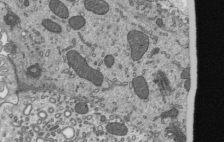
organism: Mouse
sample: Mouse epididymis efferent ductule cilia